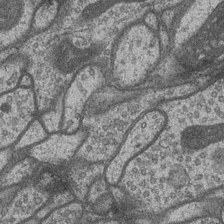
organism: Drosophila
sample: Optic medulla